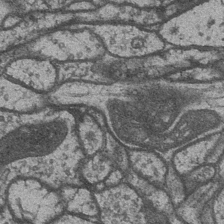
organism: Drosophila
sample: Optic medulla